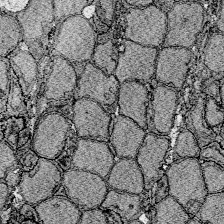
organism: Zebrafish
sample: Whole-Brain